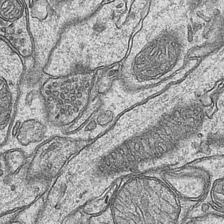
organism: Mouse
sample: CA1 Hippocampus